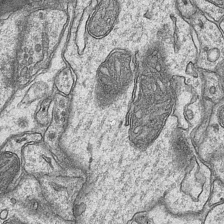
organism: Mouse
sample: CA1 Hippocampus